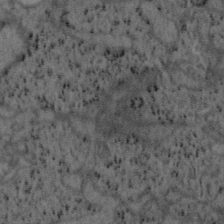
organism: Human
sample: HeLa cells